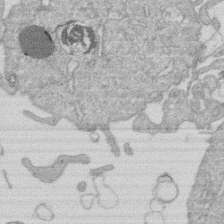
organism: Human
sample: Macrophage cells